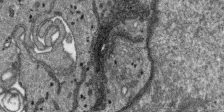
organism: Human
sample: Lung epithelial cells, uninfected (mock) control